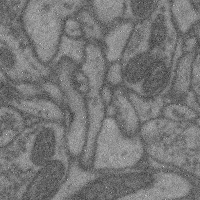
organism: Mouse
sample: Cerebral cortex